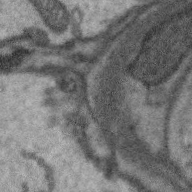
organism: Zebra finch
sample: Brain